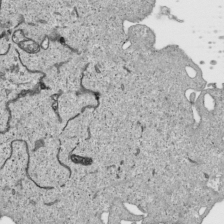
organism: Human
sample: Mitochondria in HCT116 cells